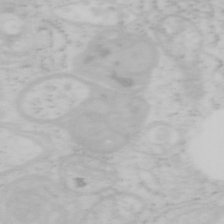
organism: Mouse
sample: OT-I killer T cells with ID8 ovarian cancer cells